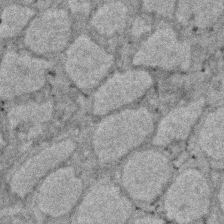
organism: Zebrafish